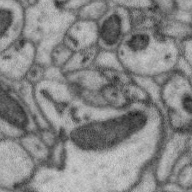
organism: Zebra finch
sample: Brain